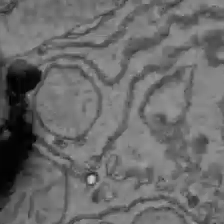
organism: C57BL Mouse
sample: Liver